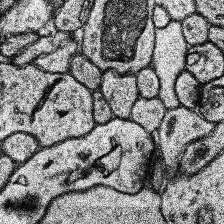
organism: Human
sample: Temporal Lobe